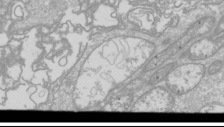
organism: Drosophila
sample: Cell division; meiosis; drosophila spermatocytes